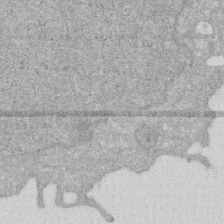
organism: Human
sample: HIV infected U937 cells